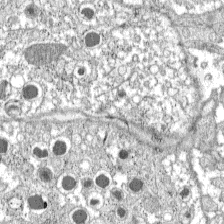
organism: C57BL Mouse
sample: Pancreatic islet